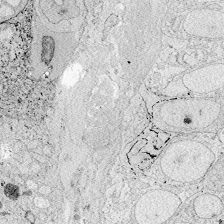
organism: Zebrafish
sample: Whole-Brain